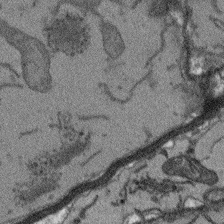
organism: Arabidopsis thaliana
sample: Root tip